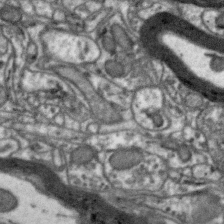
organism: Zebra finch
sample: Brain